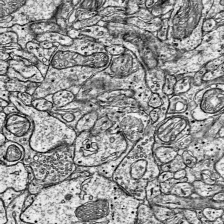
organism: Mouse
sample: Visual Cortex